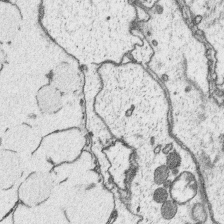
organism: Platynereis dumerilii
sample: Parapodia